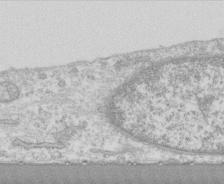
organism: Human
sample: CRL-1474